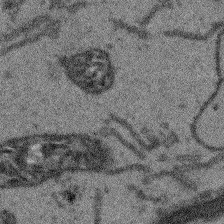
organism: Arabidopsis thaliana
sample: Root tip